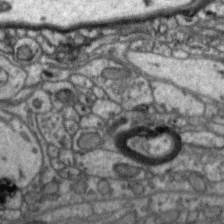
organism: Zebra finch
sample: Brain